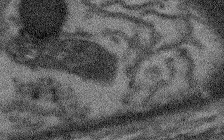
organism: Arabidopsis thaliana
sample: Root tip